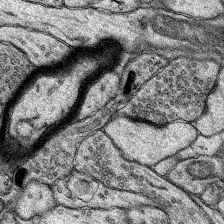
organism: Rat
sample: Hippocampus